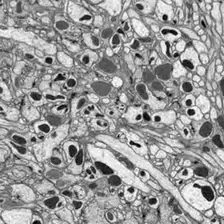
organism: Drosophila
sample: Optic lobe